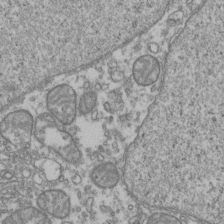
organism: Human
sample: Activated Jurkat CD4+ T cells